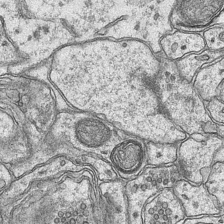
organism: Mouse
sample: CA1 Hippocampus